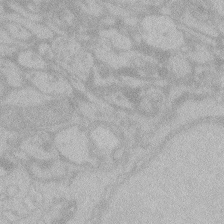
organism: Zebrafish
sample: Macrophage infected with Toxoplasma gondii